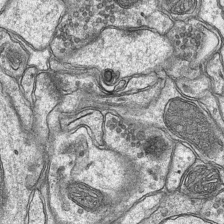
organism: Mouse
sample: CA1 Hippocampus